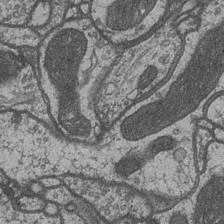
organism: Drosophila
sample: Optic medulla